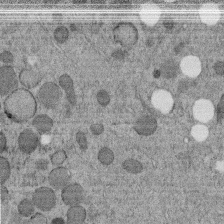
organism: C. elegans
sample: C. elegans embryo early stage